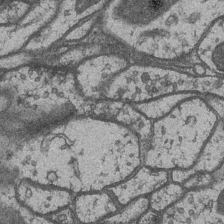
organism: Drosophila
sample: Optic medulla